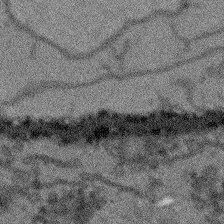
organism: Arabidopsis thaliana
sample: Root tip